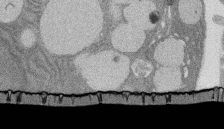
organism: Rat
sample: Salivary granule